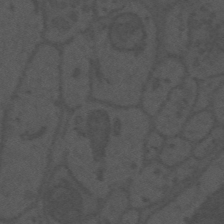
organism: Mouse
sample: Suprachiasmatic nucleus